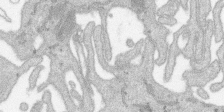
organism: Human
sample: Lung epithelial cells infected with SARS-CoV-2